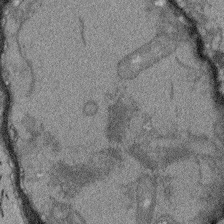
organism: Arabidopsis thaliana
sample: Root tip